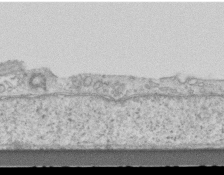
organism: Mouse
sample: Centriole in ependymal cells